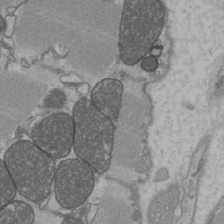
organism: C57BL Mouse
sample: Heart